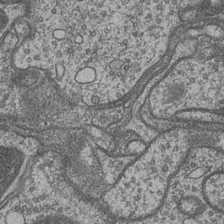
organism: Drosophila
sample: Optic medulla